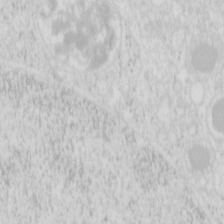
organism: Mouse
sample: Pancreas